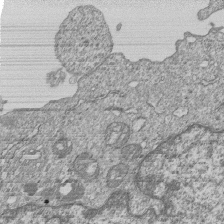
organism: Human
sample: MDA-MB-231 cells